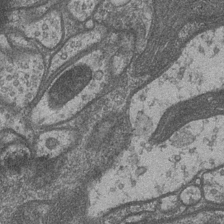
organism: Drosophila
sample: Optic medulla